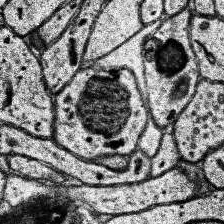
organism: Human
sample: Temporal Lobe